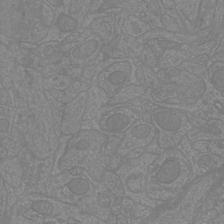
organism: Mouse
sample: Cortical neurons